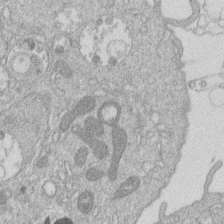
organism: Human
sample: Macrophage cells